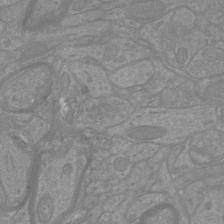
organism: Mouse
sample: Cortical neurons